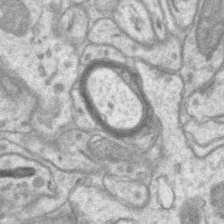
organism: Mouse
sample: CA1 Hippocampus